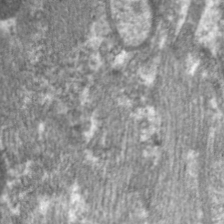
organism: C. elegans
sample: Pharynx